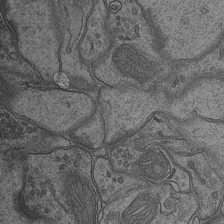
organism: Mouse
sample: CA1 Hippocampus